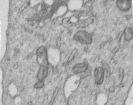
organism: Human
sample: Centriole in RPE cells